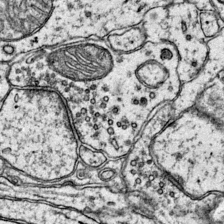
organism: Mouse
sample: Primary visual cortex